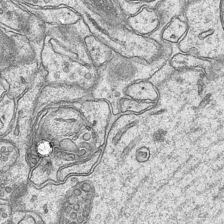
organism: Mouse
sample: CA1 Hippocampus